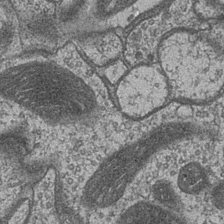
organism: Drosophila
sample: Optic medulla